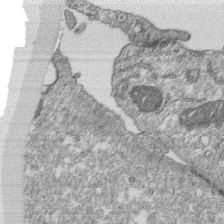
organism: African green monkey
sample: Vero E6 cells infected with SARS-CoV-2